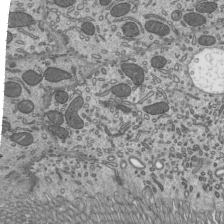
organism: Mouse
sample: Mouse epididymis efferent ductule cilia